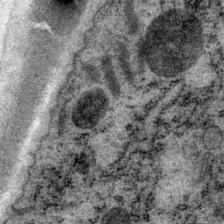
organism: P. pacificus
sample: Pharynx